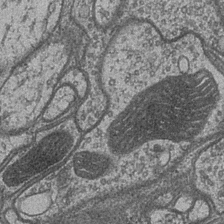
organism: Drosophila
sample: Optic medulla